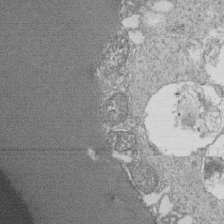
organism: Tetrahymena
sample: Cilia in tetrahymena